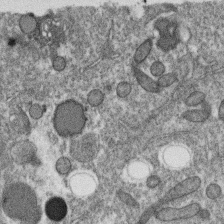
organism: C. elegans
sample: C. elegans oocyte; sperm cells